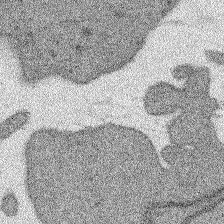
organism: Human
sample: HeLa cells